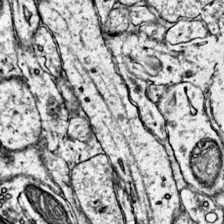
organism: Mouse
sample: Primary visual cortex